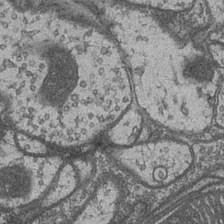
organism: Drosophila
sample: Optic medulla